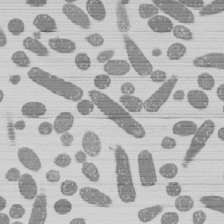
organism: E. coli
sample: Bacterial nucleoid